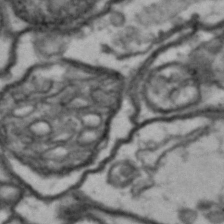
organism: Drosophila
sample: Brain